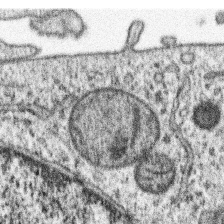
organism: Human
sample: HeLa cells